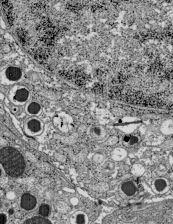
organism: C57BL Mouse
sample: Pancreatic islet